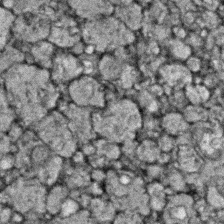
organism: Zebrafish